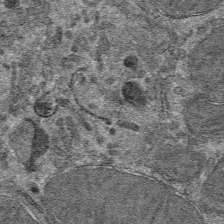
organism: Mouse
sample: Mouse hepatocytes